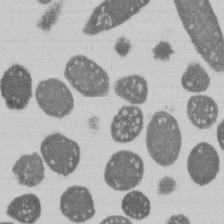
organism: E. coli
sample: Bacterial nucleoid